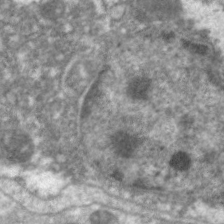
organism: C. elegans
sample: Pharynx